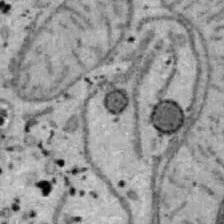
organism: Mouse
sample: Liver from an obese (ob/ob) mouse